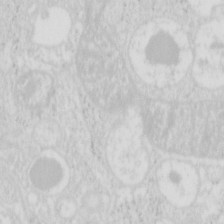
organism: Mouse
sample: Pancreas